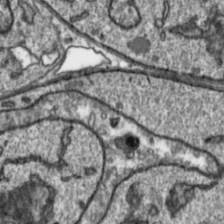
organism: Toxoplasma gondii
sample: Parasites in a vacuole inside a host cell